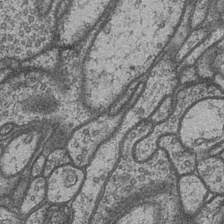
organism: Drosophila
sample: Optic medulla